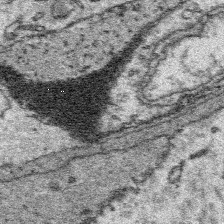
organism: Platynereis dumerilii